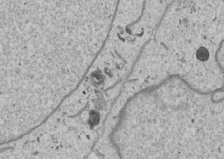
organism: Human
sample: Mitochondria in U2OS cells